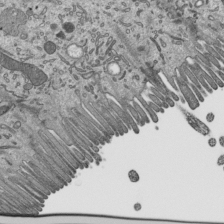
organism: Mouse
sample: Mouse epididymis efferent ductule cilia